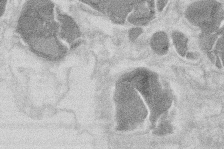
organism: Mouse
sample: T cell stromal cell synapse